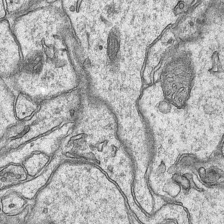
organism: Mouse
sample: CA1 Hippocampus